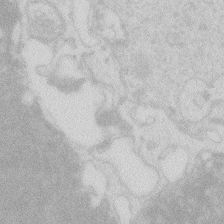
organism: Zebrafish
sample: Macrophage